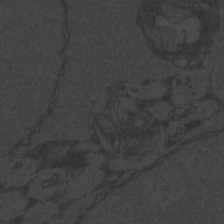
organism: Zebrafish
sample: Macrophage infected with Toxoplasma gondii